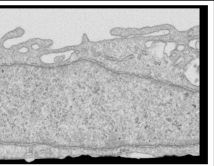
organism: Human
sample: Centriole in RPE cells